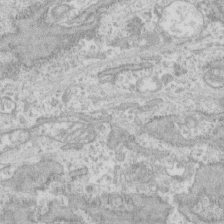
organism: Human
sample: CRL-1474